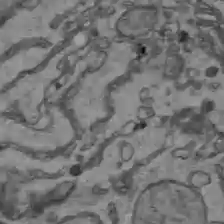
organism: C57BL Mouse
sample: Liver